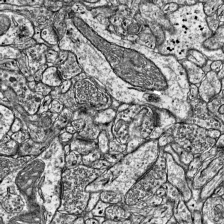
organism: Mouse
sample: Visual Cortex